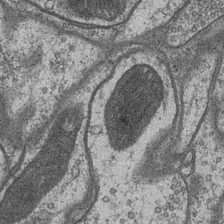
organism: Drosophila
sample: Optic medulla